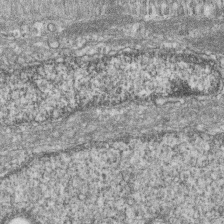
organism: Zebrafish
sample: Cilia; retinal pigment epithelium